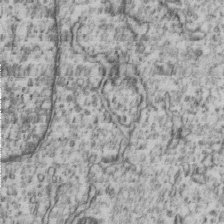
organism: Human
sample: MDA-MB-231 cells